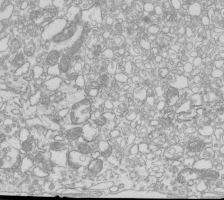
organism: Mouse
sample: Macrophages